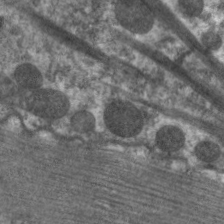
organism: C. elegans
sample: Pharynx